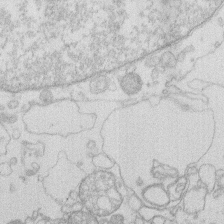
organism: Human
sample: Macrophage cells